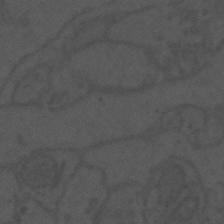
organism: Mouse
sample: Suprachiasmatic nucleus